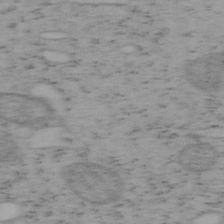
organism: Mouse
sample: OT-I killer T cells with ID8 ovarian cancer cells